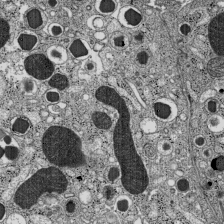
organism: C57BL Mouse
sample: Pancreatic islet